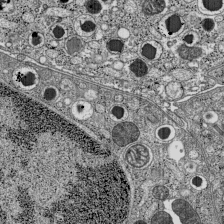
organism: C57BL Mouse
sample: Pancreatic islet